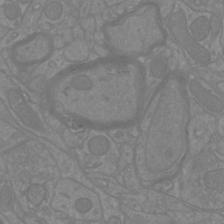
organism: Mouse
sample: Cortical neurons